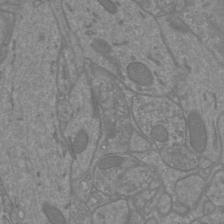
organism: Mouse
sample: Cortical neurons